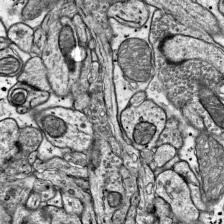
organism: Mouse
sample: Visual Cortex